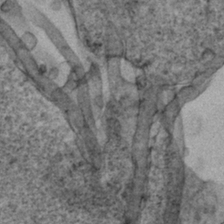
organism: Human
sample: Mitochondria in HCT116 cells